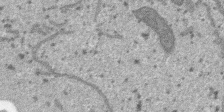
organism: Human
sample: Lung epithelial cells infected with SARS-CoV-2